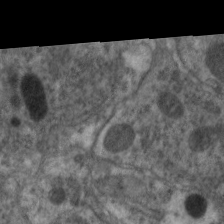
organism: C. elegans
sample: Pharynx